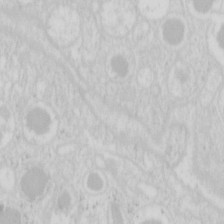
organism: Mouse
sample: Pancreas